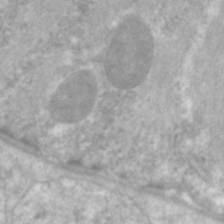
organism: C. elegans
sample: Pharynx